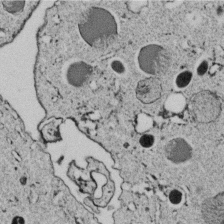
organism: C. elegans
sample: C. elegans embryo early stage